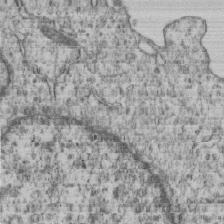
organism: Human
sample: MDA-MB-231 cells